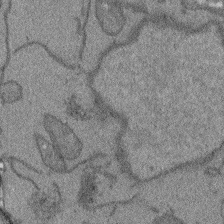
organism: Arabidopsis thaliana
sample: Root tip